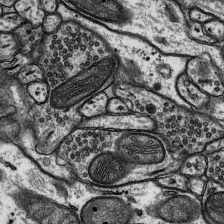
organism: Rat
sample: Hippocampus